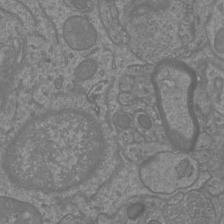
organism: Mouse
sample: Cortical neurons